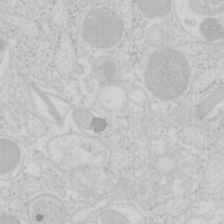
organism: Mouse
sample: Pancreas